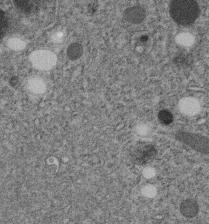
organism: C. elegans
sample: C. elegans embryo early stage